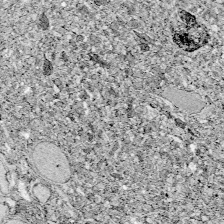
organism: Zebrafish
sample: Whole-Brain